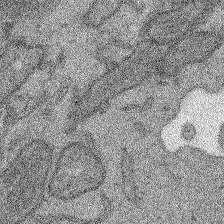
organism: Human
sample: HeLa cells